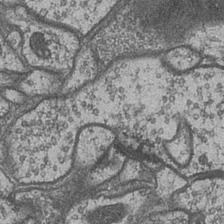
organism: Drosophila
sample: Optic medulla